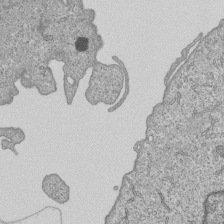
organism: Human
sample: MDA-MB-231 cells